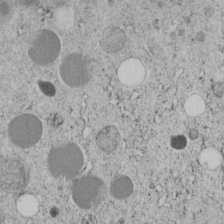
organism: C. elegans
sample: C. elegans embryo early stage